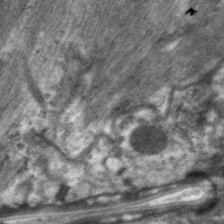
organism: C. elegans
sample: Pharynx